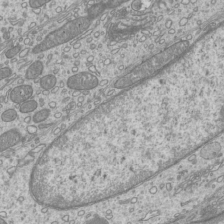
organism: Mouse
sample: Cilia; mouse epididymis